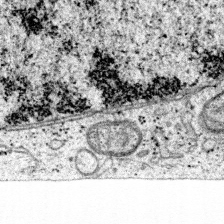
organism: Human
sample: HeLa cells